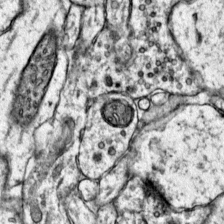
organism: Mouse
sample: Primary visual cortex